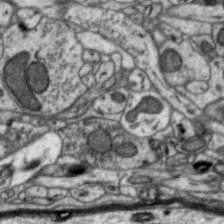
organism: Zebra finch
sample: Brain